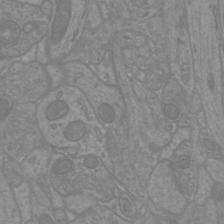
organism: Mouse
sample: Cortical neurons